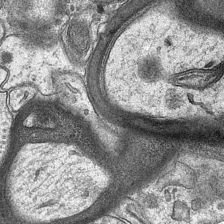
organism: Mouse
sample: CA1 Hippocampus